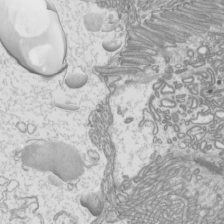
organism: Mouse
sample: Cilia; mouse epididymis